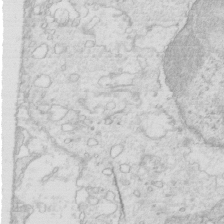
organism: Mouse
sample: Multiciliated cells